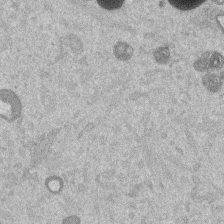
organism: Mouse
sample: Dividing mouse embryo 1 cell stage